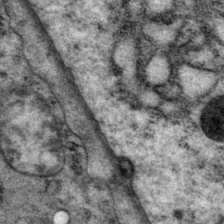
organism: P. pacificus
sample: Pharynx